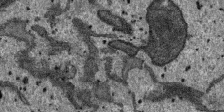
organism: Human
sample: Lung epithelial cells, uninfected (mock) control